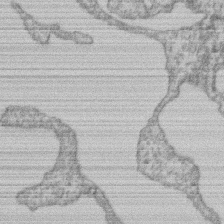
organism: Mouse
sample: T cell stromal cell synapse